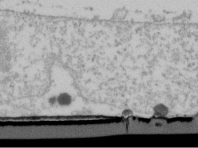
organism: Human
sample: U2-OS cells